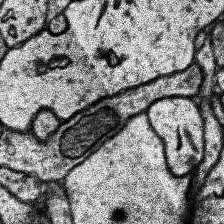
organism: Human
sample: Temporal Lobe